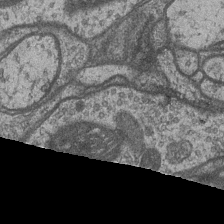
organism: Drosophila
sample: Optic medulla